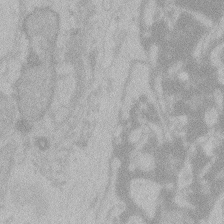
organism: Zebrafish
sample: Macrophage infected with Toxoplasma gondii